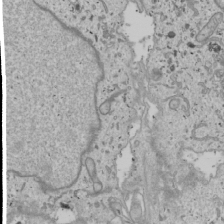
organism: Human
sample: Mitochondria in U2OS cells